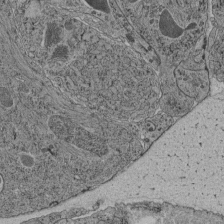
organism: C. elegans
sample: C. elegans pharynx